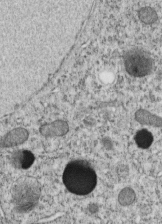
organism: C. elegans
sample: C. elegans embryo early stage